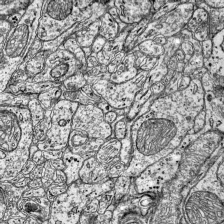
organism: Mouse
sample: Visual Cortex